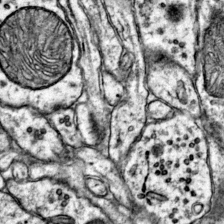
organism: Mouse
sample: Primary visual cortex